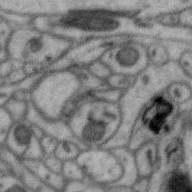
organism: Zebra finch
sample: Brain